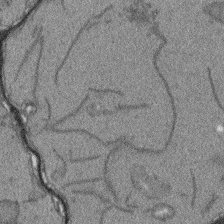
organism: Arabidopsis thaliana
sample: Root tip